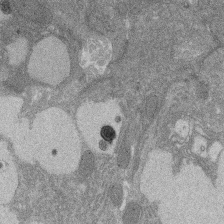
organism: Rat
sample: Salivary granule